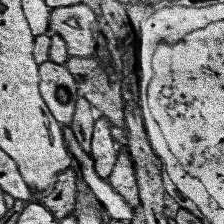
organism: Human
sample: Temporal Lobe